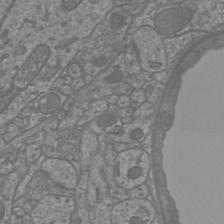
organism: Mouse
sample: Cortical neurons